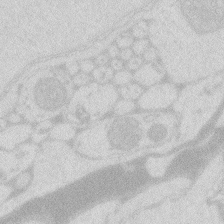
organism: Zebrafish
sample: Macrophage